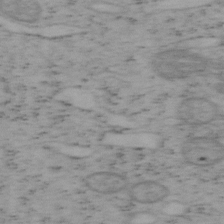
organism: Mouse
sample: OT-I killer T cells with ID8 ovarian cancer cells